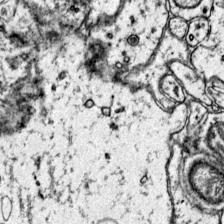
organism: Mouse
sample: Primary visual cortex